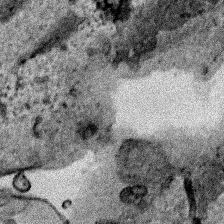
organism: Human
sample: Mitochondria in HCT116 cells